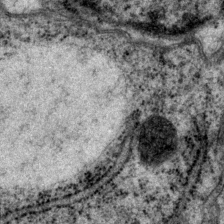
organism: P. pacificus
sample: Pharynx